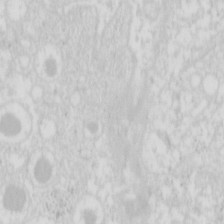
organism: Mouse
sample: Pancreas